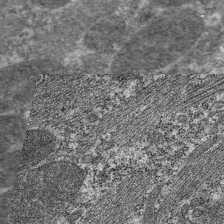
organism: C. elegans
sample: Pharynx